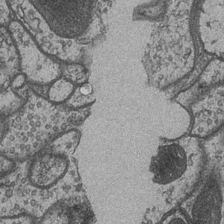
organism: Drosophila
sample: Optic medulla